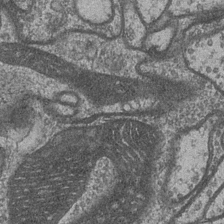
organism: Drosophila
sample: Optic medulla